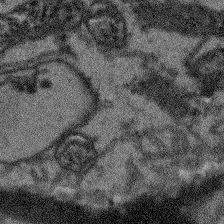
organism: Arabidopsis thaliana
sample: Root tip